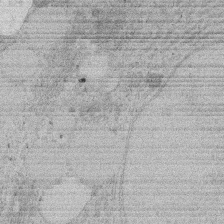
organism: Rat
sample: Salivary granule